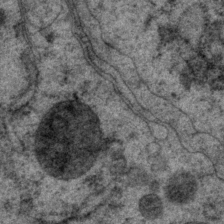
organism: P. pacificus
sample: Pharynx